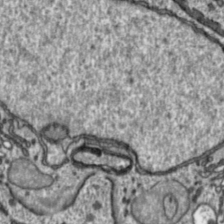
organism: Toxoplasma gondii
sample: Parasites in a vacuole inside a host cell